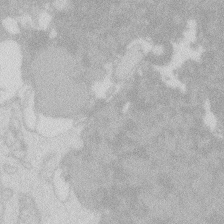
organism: Zebrafish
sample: Macrophage